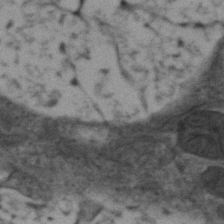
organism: Zebrafish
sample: Zebrafish embryo